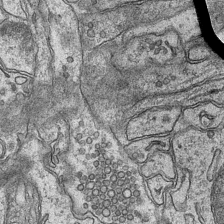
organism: Mouse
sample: CA1 Hippocampus